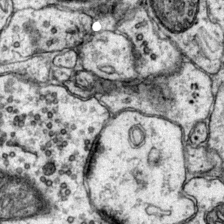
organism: Mouse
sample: Primary visual cortex